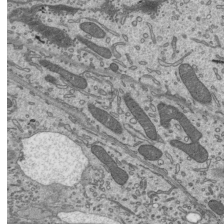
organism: Mouse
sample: Mouse epididymis efferent ductule cilia